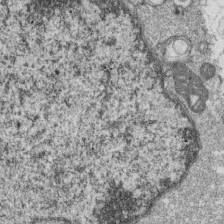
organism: African green monkey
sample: Vero E6 cells infected with SARS-CoV-2